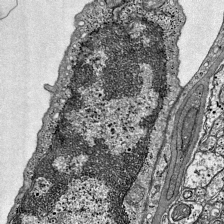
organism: Mouse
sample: Visual Cortex